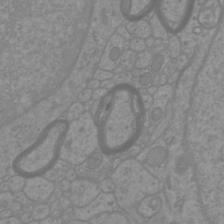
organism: Mouse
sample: Cortical neurons